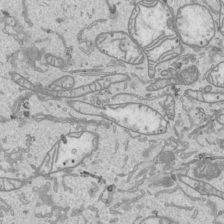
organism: Human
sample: Mitochondria in HCT116 cells